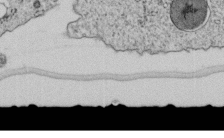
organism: C. elegans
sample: C. elegans embryo early stage